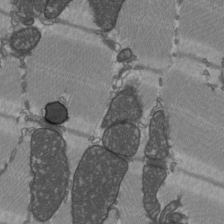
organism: C57BL Mouse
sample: Heart